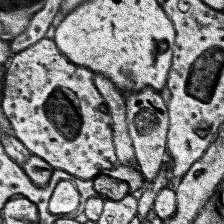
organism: Human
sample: Temporal Lobe